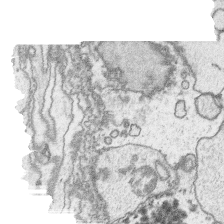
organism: Platynereis dumerilii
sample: Parapodia